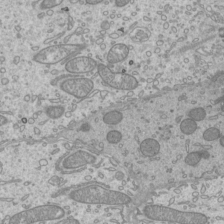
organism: Mouse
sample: Cilia; mouse epididymis